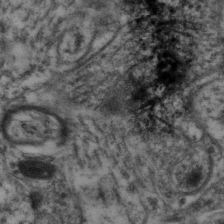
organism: Mouse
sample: Neocortex